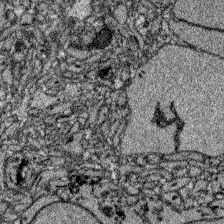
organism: Zebrafish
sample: Larval olfactory bulb